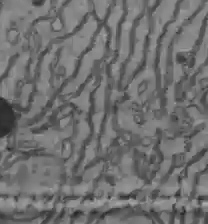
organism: C57BL Mouse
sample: Liver